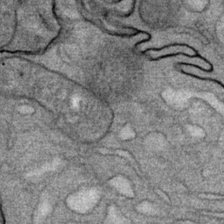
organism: Mouse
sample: Mouse Salivary gland